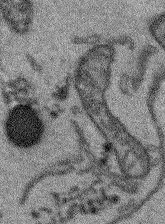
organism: Arabidopsis thaliana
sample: Root tip